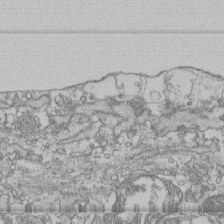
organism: Human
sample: Fibroblast cells